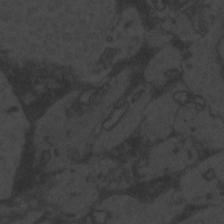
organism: Zebrafish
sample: Macrophage infected with Toxoplasma gondii